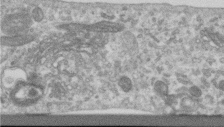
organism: Human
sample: Centriole in RPE cells